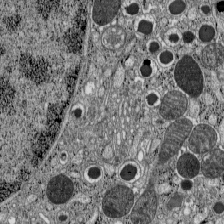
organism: C57BL Mouse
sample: Pancreatic islet